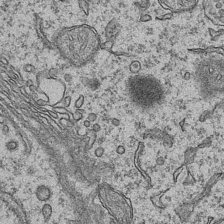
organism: Mouse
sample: CA1 Hippocampus